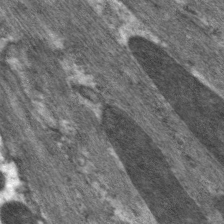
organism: C. elegans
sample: Pharynx